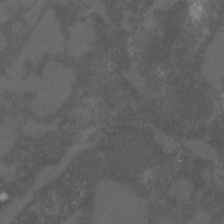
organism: C. elegans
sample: C. elegans embryo